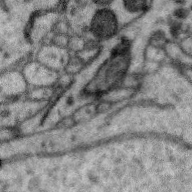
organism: Zebra finch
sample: Brain